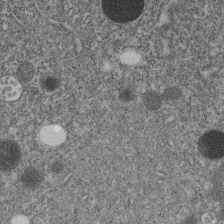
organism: C. elegans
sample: C. elegans embryo early stage